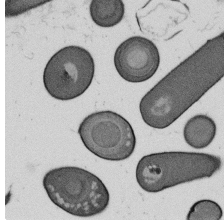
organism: B. subtilis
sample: Bacterial spore